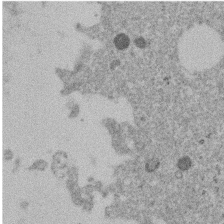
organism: Mouse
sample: Dividing mouse embryo 1 cell stage